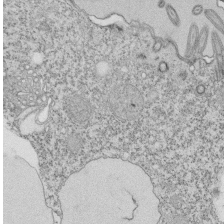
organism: Tetrahymena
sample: Cilia in tetrahymena